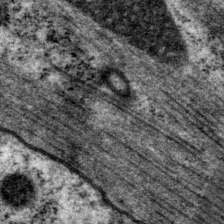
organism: P. pacificus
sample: Pharynx